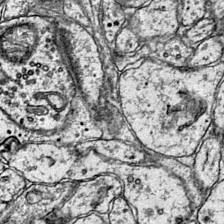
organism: Mouse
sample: Primary visual cortex